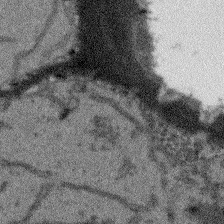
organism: Arabidopsis thaliana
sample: Root tip